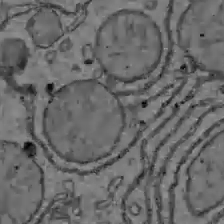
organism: C57BL Mouse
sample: Liver